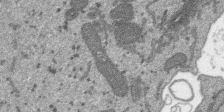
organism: Human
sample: Lung epithelial cells infected with SARS-CoV-2